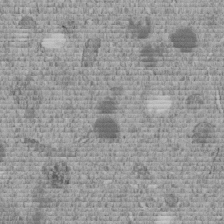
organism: C. elegans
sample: C. elegans embryo early stage